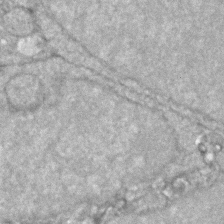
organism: Zebrafish